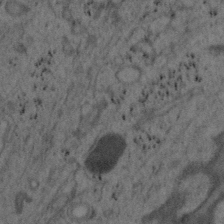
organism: Human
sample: HeLa cells